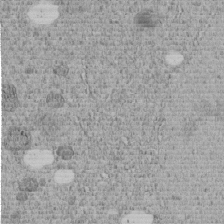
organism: C. elegans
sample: C. elegans embryo early stage